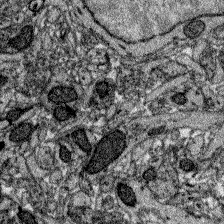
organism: Zebrafish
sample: Larval olfactory bulb